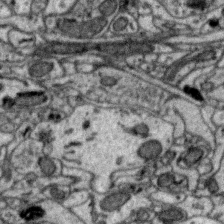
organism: Zebra finch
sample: Brain